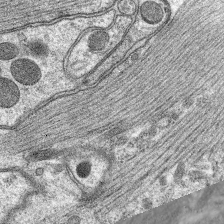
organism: C. elegans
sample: Pharynx